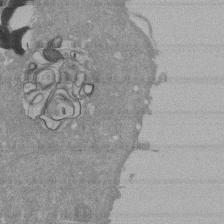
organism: Mouse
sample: ED-1 cell nuclei; centrioles